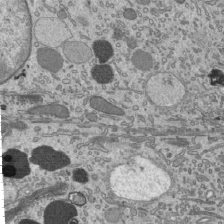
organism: Mouse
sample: Mouse epididymis efferent ductule cilia